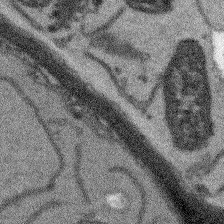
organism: Arabidopsis thaliana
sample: Root tip